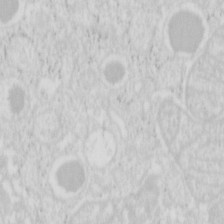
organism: Mouse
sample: Pancreas